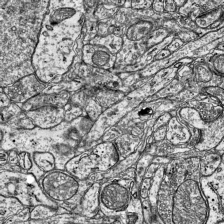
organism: Mouse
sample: Visual Cortex